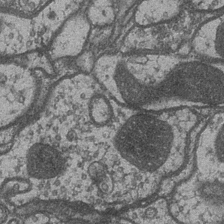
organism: Drosophila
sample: Optic medulla